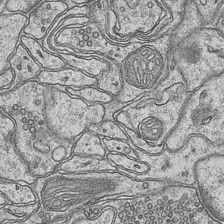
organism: Mouse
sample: CA1 Hippocampus